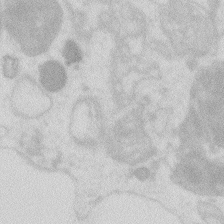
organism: Zebrafish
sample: Macrophage